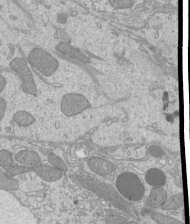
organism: Mouse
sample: Cilia; mouse epididymis